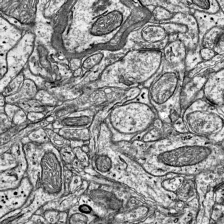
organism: Mouse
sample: Visual Cortex